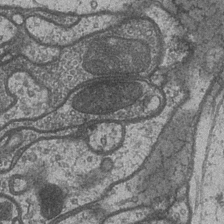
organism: Drosophila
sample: Optic medulla